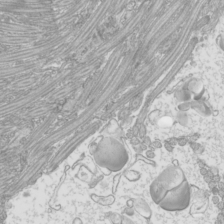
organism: Mouse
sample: Cilia; mouse epididymis